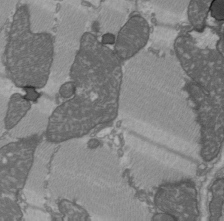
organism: C57BL Mouse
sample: Heart